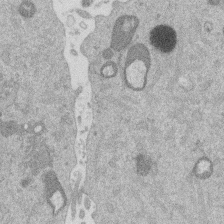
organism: Mouse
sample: Dividing mouse embryo 1 cell stage